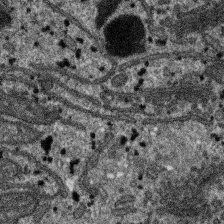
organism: Human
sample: Lung epithelial cells infected with SARS-CoV-2